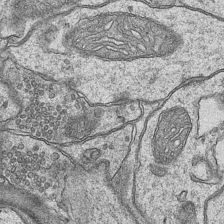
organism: Mouse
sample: CA1 Hippocampus